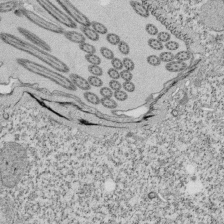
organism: Tetrahymena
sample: Cilia in tetrahymena